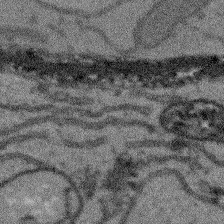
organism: Arabidopsis thaliana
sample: Root tip